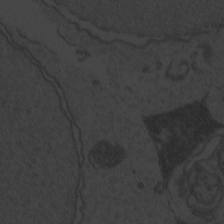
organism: Zebrafish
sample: Macrophage infected with Toxoplasma gondii